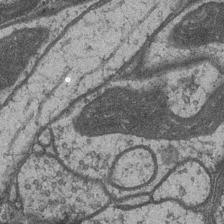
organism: Drosophila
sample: Optic medulla